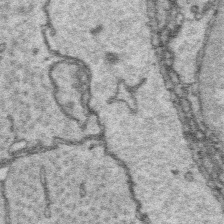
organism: Platynereis dumerilii